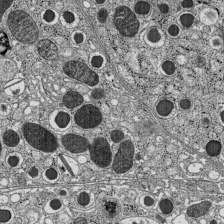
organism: C57BL Mouse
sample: Pancreatic islet